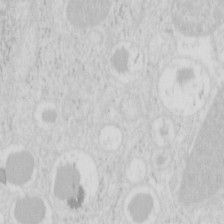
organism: Mouse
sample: Pancreas